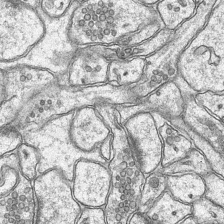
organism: Mouse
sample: CA1 Hippocampus